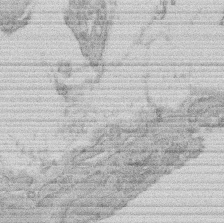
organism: Rat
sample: Salivary granule